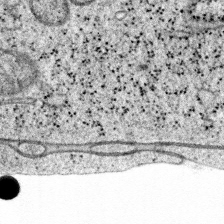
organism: Human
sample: HeLa cells